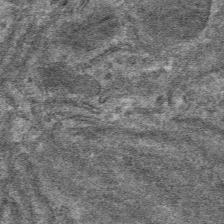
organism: Mouse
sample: Mouse hepatocytes